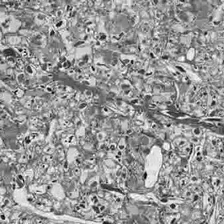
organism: Drosophila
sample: Optic lobe